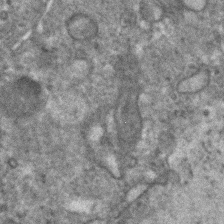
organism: Human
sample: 1205lu cells